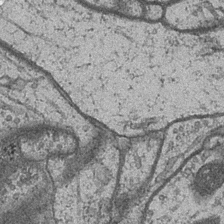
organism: Drosophila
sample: Optic medulla